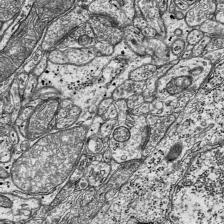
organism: Mouse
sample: Visual Cortex